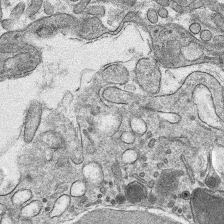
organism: Mouse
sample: Mouse hepatocytes